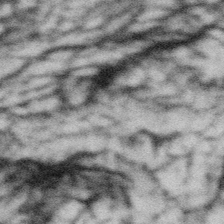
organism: Gemmata obscuriglobus